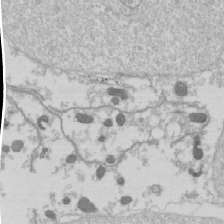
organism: Drosophila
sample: Cell division; meiosis; drosophila spermatocytes